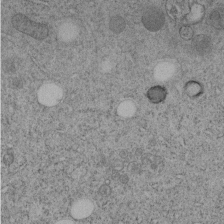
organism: C. elegans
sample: C. elegans embryo early stage